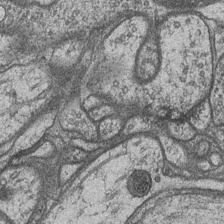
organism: Drosophila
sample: Optic medulla